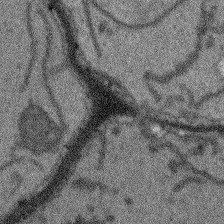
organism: Arabidopsis thaliana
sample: Root tip